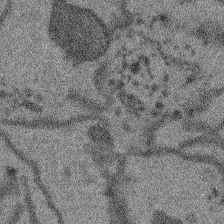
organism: Arabidopsis thaliana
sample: Root tip